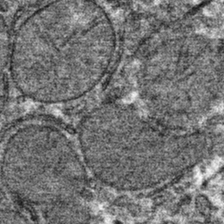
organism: Mouse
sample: Mouse hepatocytes